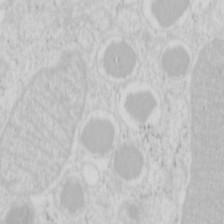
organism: Mouse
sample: Pancreas